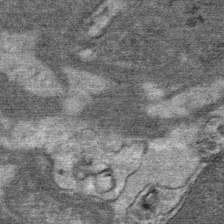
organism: Mouse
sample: Mouse Salivary gland